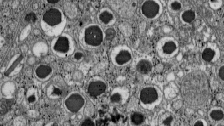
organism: C57BL Mouse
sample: Pancreatic islet